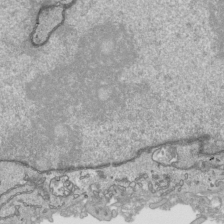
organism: Human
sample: Mitochondria in HCT116 cells